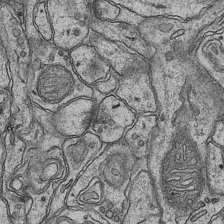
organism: Mouse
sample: CA1 Hippocampus